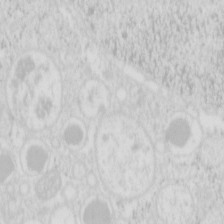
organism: Mouse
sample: Pancreas